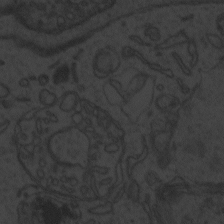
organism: Zebrafish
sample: Macrophage infected with Toxoplasma gondii